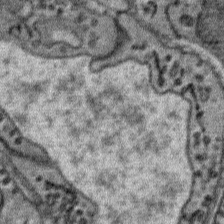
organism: Mouse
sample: Mouse Salivary gland